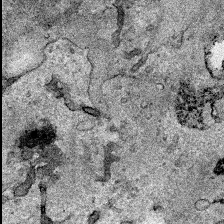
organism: Human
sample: Mitochondria in HCT116 cells